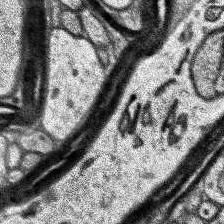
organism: Human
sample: Temporal Lobe